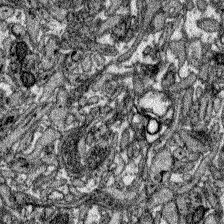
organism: Zebrafish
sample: Larval olfactory bulb